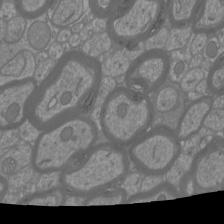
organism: Mouse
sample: Cortical neurons